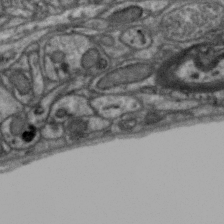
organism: Zebra finch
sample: Brain